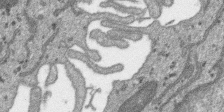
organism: Human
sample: Lung epithelial cells infected with SARS-CoV-2